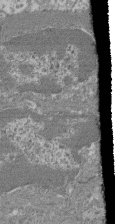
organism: Mouse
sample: Glomerulus